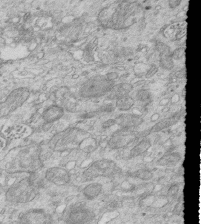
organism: Mouse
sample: Multiciliated cells